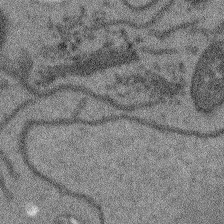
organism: Arabidopsis thaliana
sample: Root tip